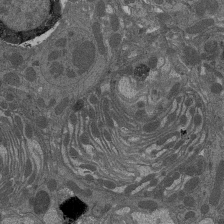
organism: Drosophila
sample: Antenna